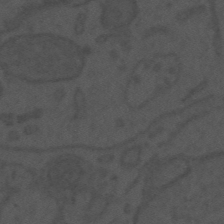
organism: Mouse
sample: Suprachiasmatic nucleus